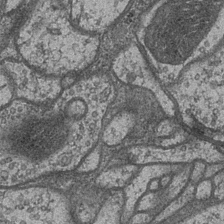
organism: Drosophila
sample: Optic medulla